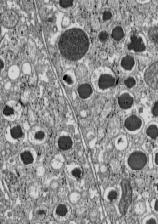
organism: C57BL Mouse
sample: Pancreatic islet